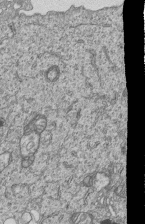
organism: Human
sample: MDA-MB-231 cells